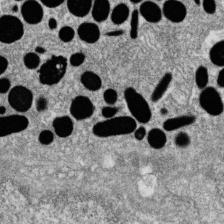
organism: Zebrafish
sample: Cilia; retinal pigment epithelium